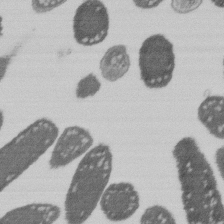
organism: E. coli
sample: Bacterial nucleoid